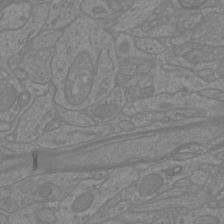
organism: Mouse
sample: Cortical neurons